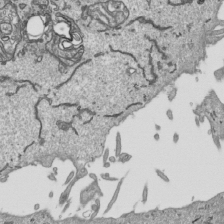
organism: Human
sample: Mitochondria in HCT116 cells